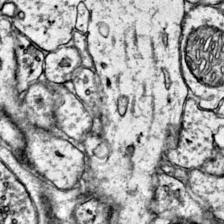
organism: Mouse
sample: Primary visual cortex